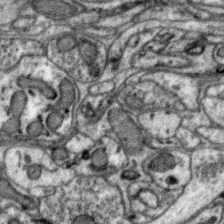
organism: Zebra finch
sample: Brain